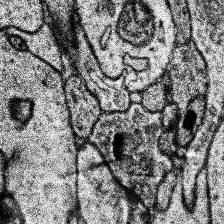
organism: Human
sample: Temporal Lobe